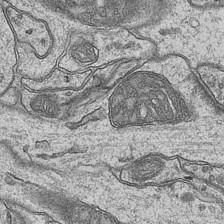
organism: Mouse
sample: CA1 Hippocampus